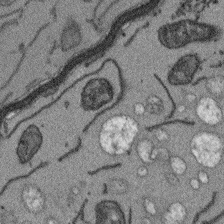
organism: Arabidopsis thaliana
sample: Root tip